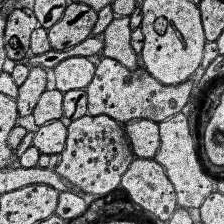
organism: Human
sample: Temporal Lobe